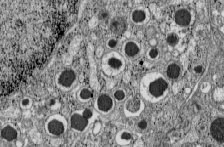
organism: C57BL Mouse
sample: Pancreatic islet